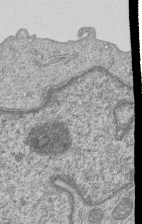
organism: Human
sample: MDA-MB-231 cells